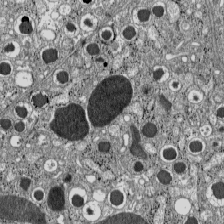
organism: C57BL Mouse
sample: Pancreatic islet